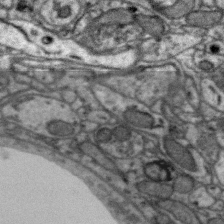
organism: Zebra finch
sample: Brain